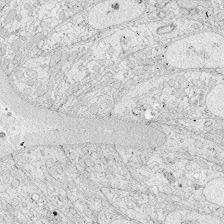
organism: Zebrafish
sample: Whole-Brain